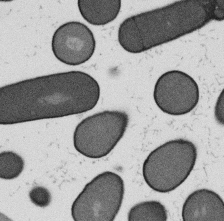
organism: B. subtilis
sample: Bacterial spore